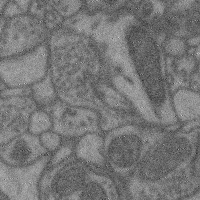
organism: Mouse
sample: Cerebral cortex